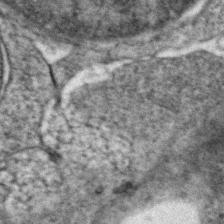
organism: Zebrafish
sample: Zebrafish embryo